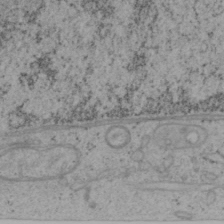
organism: Human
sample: HeLa cells